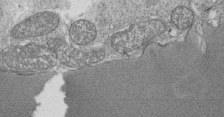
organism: Tetrahymena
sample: Cilia in tetrahymena